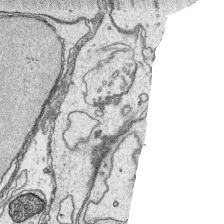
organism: Platynereis dumerilii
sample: Parapodia